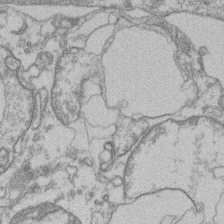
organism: Mouse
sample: T cell stromal cell synapse